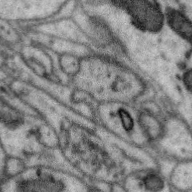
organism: Zebra finch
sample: Brain